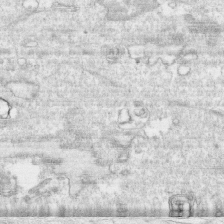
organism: Human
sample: CRL-1474